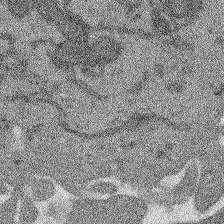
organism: Human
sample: HeLa cells